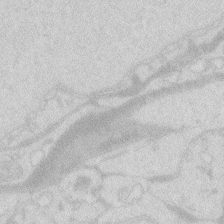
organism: Zebrafish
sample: Macrophage